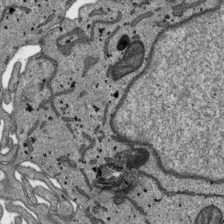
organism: Human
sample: Lung epithelial cells, uninfected (mock) control